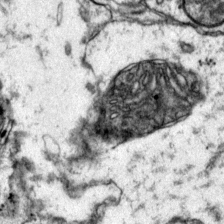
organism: Mouse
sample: Primary visual cortex